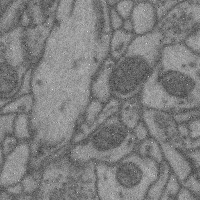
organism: Mouse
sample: Cerebral cortex